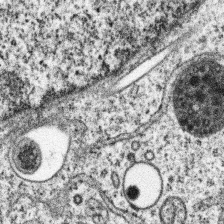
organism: Human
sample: HeLa cells